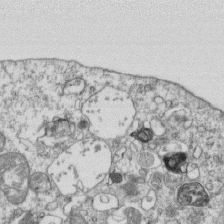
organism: Mouse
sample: Activated OT-1 CD8+ T cells